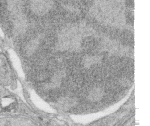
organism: Zebrafish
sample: synaptic ribbons in rod cells and cone cells